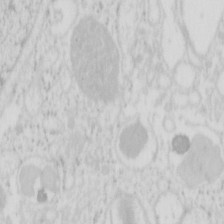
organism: Mouse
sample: Pancreas